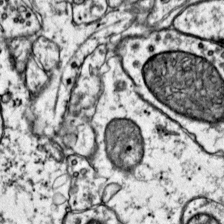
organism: Mouse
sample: Primary visual cortex